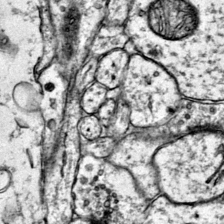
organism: Mouse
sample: Primary visual cortex